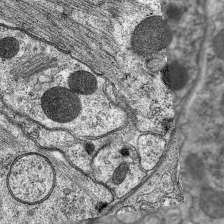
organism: C. elegans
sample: Pharynx